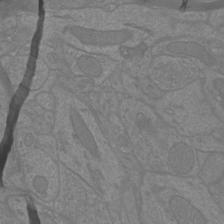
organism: Mouse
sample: Cortical neurons